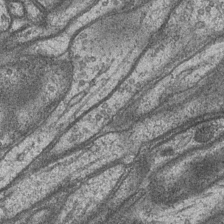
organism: Drosophila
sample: Optic medulla